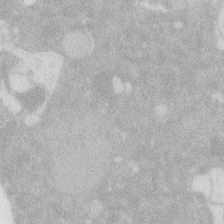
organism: Zebrafish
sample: Macrophage